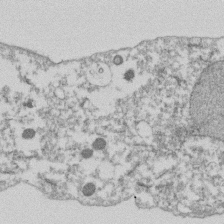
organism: Dictyostelium discoideum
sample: Dictyostelium multivesicular bodies